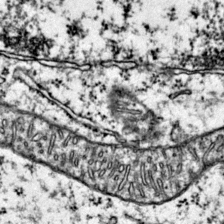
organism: Mouse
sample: Primary visual cortex